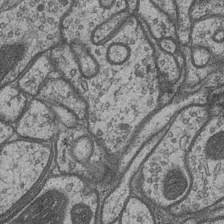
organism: Drosophila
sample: Optic medulla